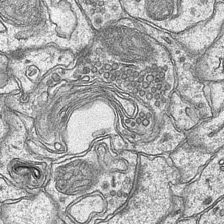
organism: Mouse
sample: CA1 Hippocampus